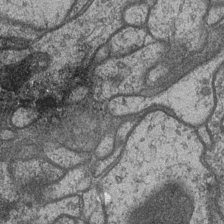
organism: Drosophila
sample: Optic medulla